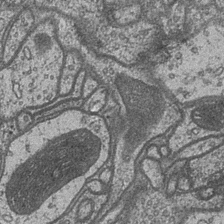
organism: Drosophila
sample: Optic medulla